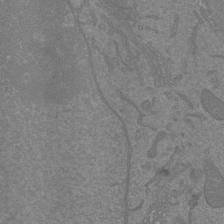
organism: Mouse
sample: Cortical neurons